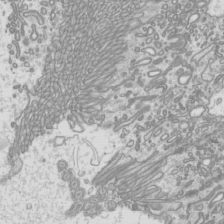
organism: Mouse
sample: Cilia; mouse epididymis